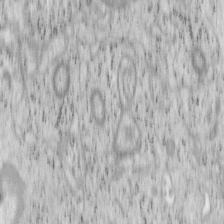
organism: Human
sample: HeLa cells